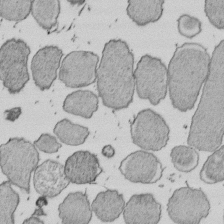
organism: E. coli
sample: Bacterial nucleoid